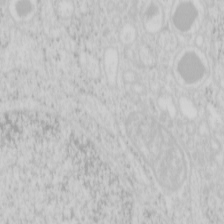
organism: Mouse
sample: Pancreas